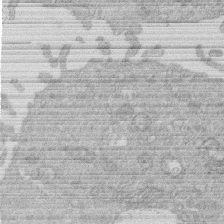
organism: Human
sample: Macrophage cells